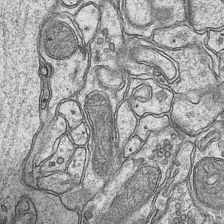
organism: Mouse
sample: CA1 Hippocampus